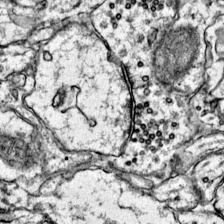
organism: Mouse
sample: Primary visual cortex